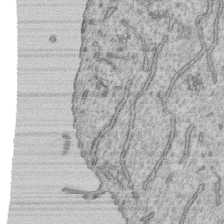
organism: Human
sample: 1205lu cells